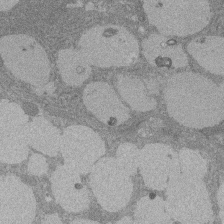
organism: Rat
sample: Salivary granule